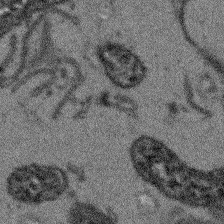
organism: Arabidopsis thaliana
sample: Root tip